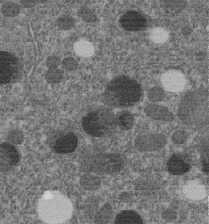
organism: C. elegans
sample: C. elegans embryo early stage